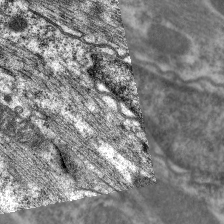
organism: C. elegans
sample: Pharynx